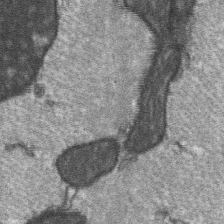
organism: C57BL Mouse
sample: Soleus